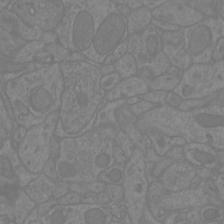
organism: Mouse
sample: Cortical neurons